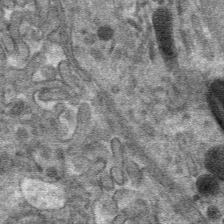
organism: Mouse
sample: Mouse hepatocytes